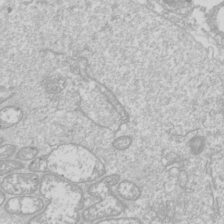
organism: Drosophila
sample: Cell division; meiosis; drosophila spermatocytes